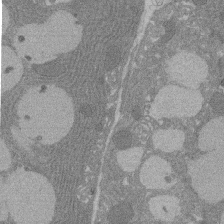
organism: Rat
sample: Salivary granule